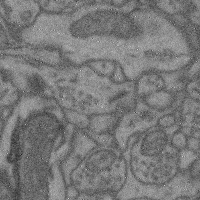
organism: Mouse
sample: Cerebral cortex